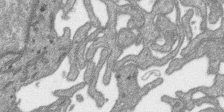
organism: Human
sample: Lung epithelial cells infected with SARS-CoV-2